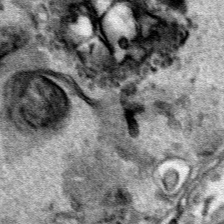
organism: Human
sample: Mitochondria in HCT116 cells